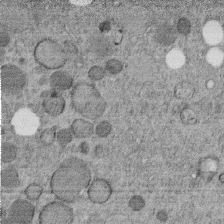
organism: C. elegans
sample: C. elegans embryo early stage